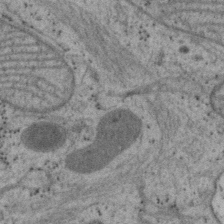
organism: Human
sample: HeLa cells